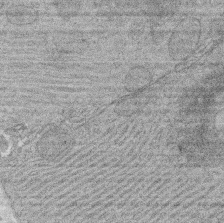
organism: Rat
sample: Salivary granule